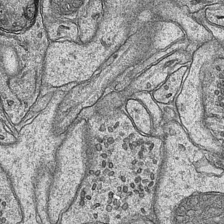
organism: Mouse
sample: CA1 Hippocampus